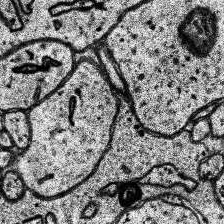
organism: Human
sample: Temporal Lobe